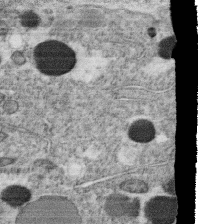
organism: C. elegans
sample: C. elegans oocyte; sperm cells